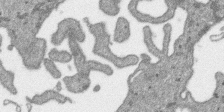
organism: Human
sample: Lung epithelial cells infected with SARS-CoV-2